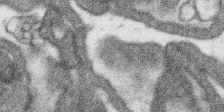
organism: Human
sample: Lung epithelial cells infected with SARS-CoV-2